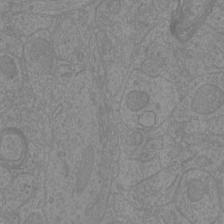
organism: Mouse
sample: Cortical neurons